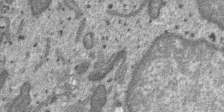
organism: Human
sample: Lung epithelial cells infected with SARS-CoV-2